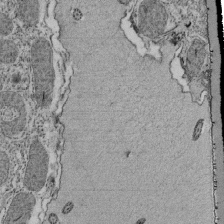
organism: Tetrahymena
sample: Cilia in tetrahymena